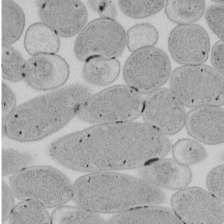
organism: E. coli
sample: Bacterial nucleoid